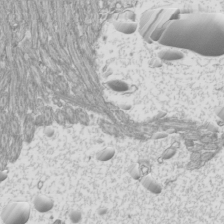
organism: Mouse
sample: Cilia; mouse epididymis